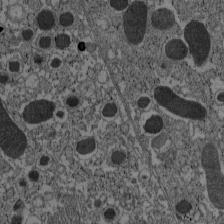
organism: C57BL Mouse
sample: Pancreatic islet